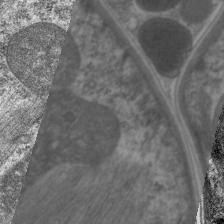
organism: C. elegans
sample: Pharynx